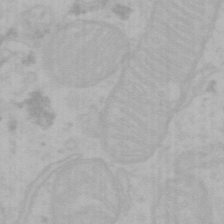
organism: Mouse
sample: Choroid plexus